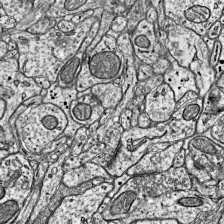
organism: Mouse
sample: Visual Cortex